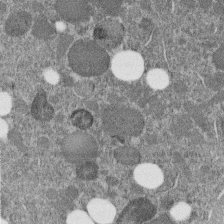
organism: C. elegans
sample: C. elegans embryo early stage